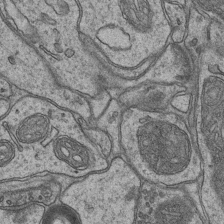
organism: Mouse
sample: CA1 Hippocampus